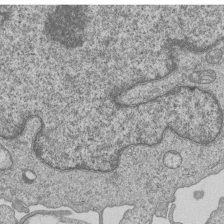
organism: Human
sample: MDA-MB-231 cells